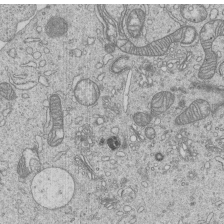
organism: Human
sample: MDA-MB-231 cells